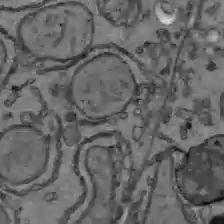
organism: C57BL Mouse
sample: Liver